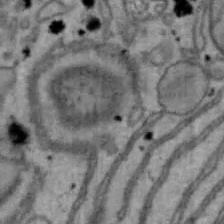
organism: Mouse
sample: Liver